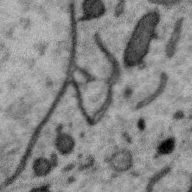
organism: Zebra finch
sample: Brain